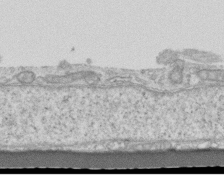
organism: Mouse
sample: Centriole in ependymal cells